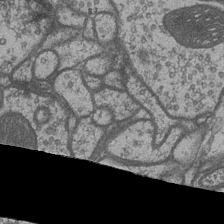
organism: Drosophila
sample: Optic medulla